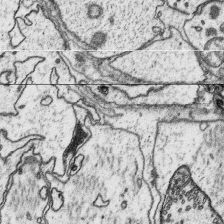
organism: Platynereis dumerilii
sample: Parapodia